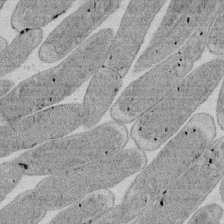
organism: E. coli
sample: Bacterial nucleoid